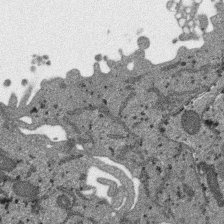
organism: Human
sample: Lung epithelial cells infected with SARS-CoV-2